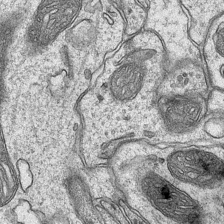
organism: Mouse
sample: CA1 Hippocampus